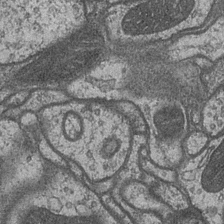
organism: Drosophila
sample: Optic medulla